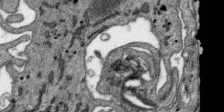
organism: Human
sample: Lung epithelial cells, uninfected (mock) control